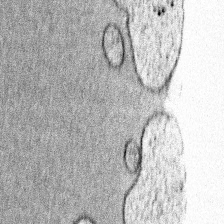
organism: Human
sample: HeLa cells